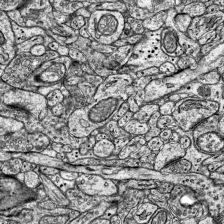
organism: Mouse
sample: Visual Cortex